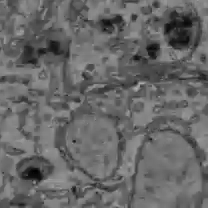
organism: C57BL Mouse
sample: Liver